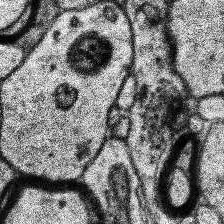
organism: Human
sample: Temporal Lobe